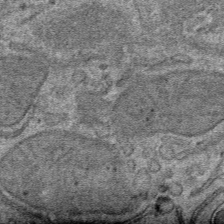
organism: Mouse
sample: Mouse hepatocytes